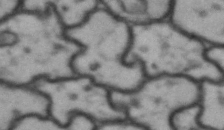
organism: Drosophila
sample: Brain